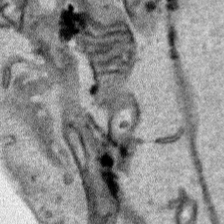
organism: Human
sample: Mitochondria in HCT116 cells